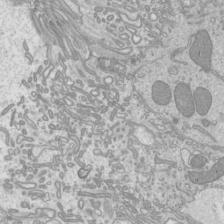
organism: Mouse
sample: Cilia; mouse epididymis